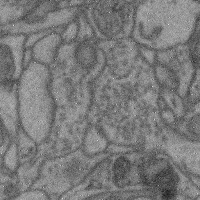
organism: Mouse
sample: Cerebral cortex